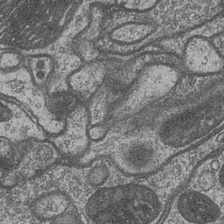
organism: Drosophila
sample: Optic medulla